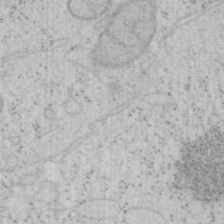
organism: Human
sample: HeLa cells